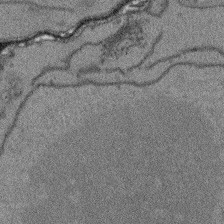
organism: Arabidopsis thaliana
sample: Root tip